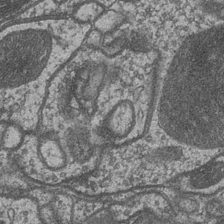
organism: Drosophila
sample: Optic medulla